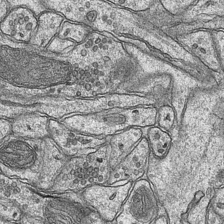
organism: Mouse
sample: CA1 Hippocampus